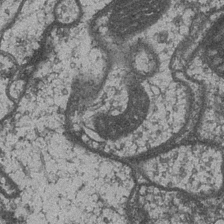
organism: Drosophila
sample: Optic medulla